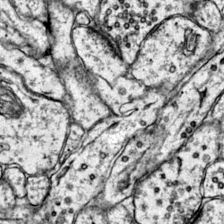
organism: Mouse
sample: Primary visual cortex